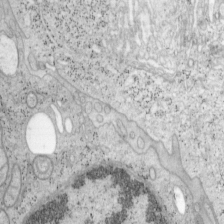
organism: Mouse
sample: OT-I killer T cells with ID8 ovarian cancer cells